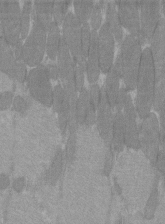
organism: C57BL Mouse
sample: Tibialis anterior muscle cell